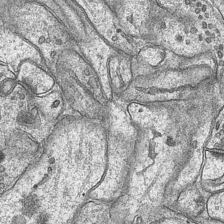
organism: Mouse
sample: CA1 Hippocampus